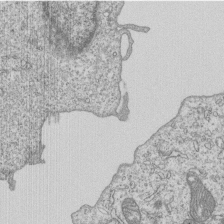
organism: Human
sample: MDA-MB-231 cells